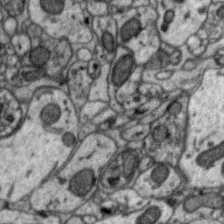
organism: Zebra finch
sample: Brain